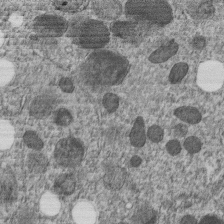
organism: C. elegans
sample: C. elegans embryo early stage